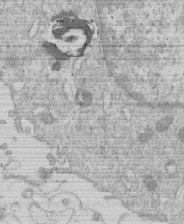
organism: Human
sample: Macrophage cells